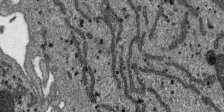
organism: Human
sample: Lung epithelial cells infected with SARS-CoV-2